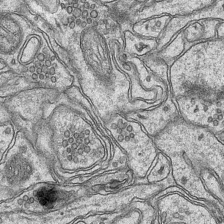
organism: Mouse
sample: CA1 Hippocampus